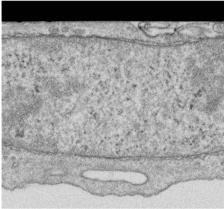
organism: Human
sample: Centriole in RPE cells